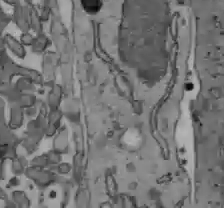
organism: C57BL Mouse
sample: Liver